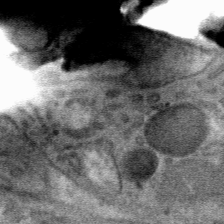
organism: Mouse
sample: Mouse hepatocytes